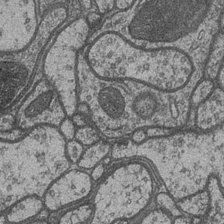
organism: Drosophila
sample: Optic medulla